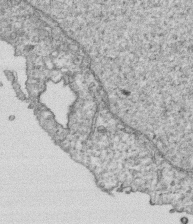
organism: Human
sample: HeLa cell HIV synapse